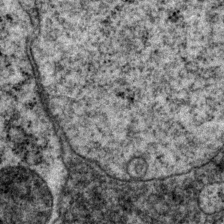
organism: P. pacificus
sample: Pharynx